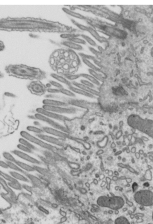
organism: Mouse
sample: Mouse epididymis efferent ductule cilia